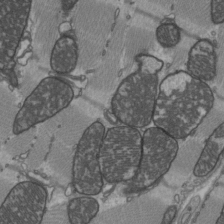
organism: C57BL Mouse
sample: Heart